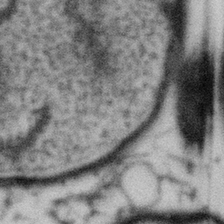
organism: Gemmata obscuriglobus